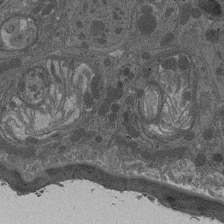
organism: Drosophila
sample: Antenna